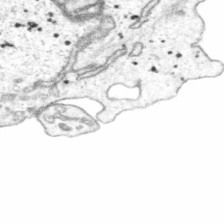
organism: Human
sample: HeLa cells